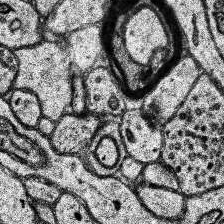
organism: Human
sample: Temporal Lobe